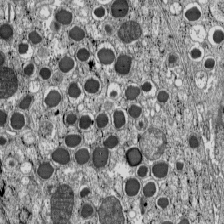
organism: C57BL Mouse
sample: Pancreatic islet